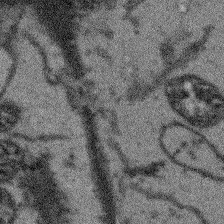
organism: Arabidopsis thaliana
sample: Root tip